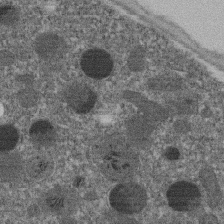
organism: C. elegans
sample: C. elegans embryo early stage